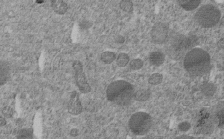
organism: C. elegans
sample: C. elegans embryo early stage